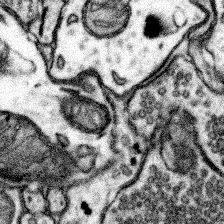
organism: Mouse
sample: Somatosensory cortex neuropil